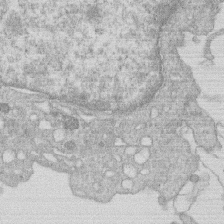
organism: Human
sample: Macrophage cells